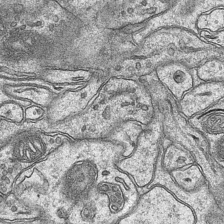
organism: Mouse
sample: CA1 Hippocampus